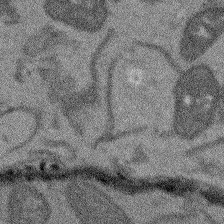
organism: Arabidopsis thaliana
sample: Root tip